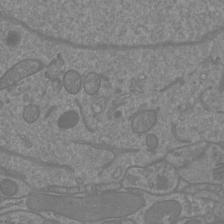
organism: Mouse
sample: Cortical neurons